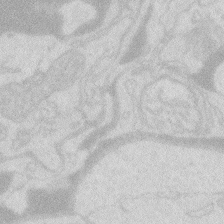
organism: Zebrafish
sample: Macrophage